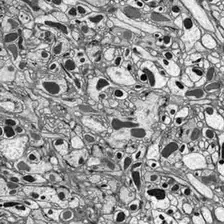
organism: Drosophila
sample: Optic lobe